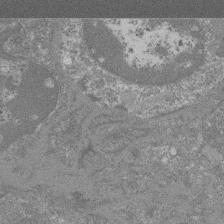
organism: Mouse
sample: Glomerulus